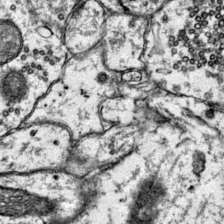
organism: Mouse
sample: Primary visual cortex